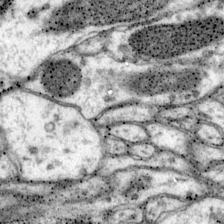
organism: Mouse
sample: Primary visual cortex